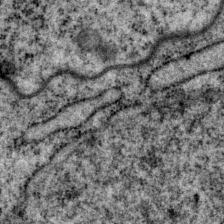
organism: P. pacificus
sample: Pharynx